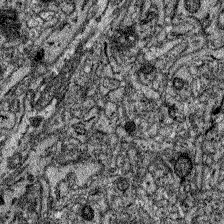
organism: Zebrafish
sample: Larval olfactory bulb